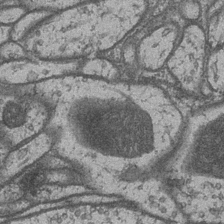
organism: Drosophila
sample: Optic medulla